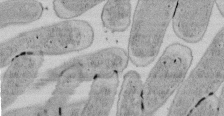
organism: E. coli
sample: Bacterial nucleoid